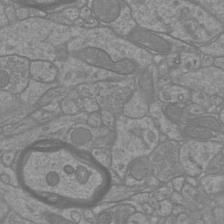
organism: Mouse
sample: Cortical neurons